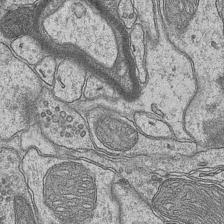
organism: Mouse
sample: CA1 Hippocampus